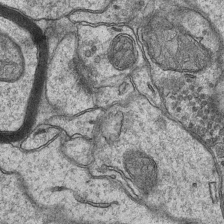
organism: Mouse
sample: CA1 Hippocampus